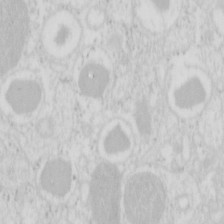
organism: Mouse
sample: Pancreas